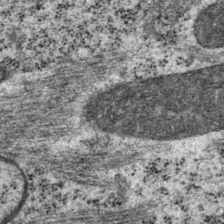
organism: P. pacificus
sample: Pharynx